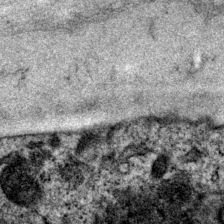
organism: P. pacificus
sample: Pharynx